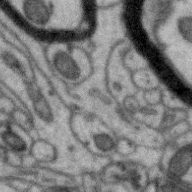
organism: Zebra finch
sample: Brain